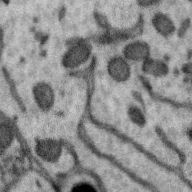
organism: Zebra finch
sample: Brain